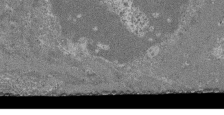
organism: Mouse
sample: Glomerulus